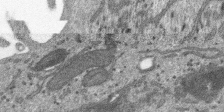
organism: Human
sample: Lung epithelial cells infected with SARS-CoV-2